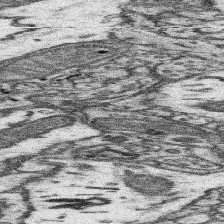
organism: Mouse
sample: Somatosensory cortex neuropil